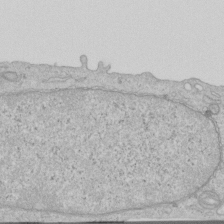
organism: Human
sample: Centriole in RPE cells